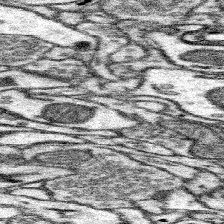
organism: Mouse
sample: Somatosensory cortex neuropil